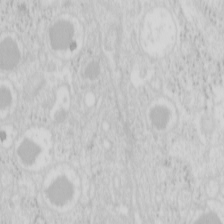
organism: Mouse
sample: Pancreas